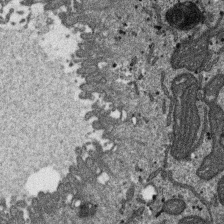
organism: Human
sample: Lung epithelial cells infected with SARS-CoV-2